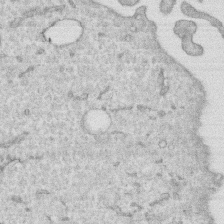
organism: Human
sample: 1205lu cells